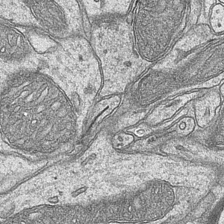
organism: Mouse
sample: CA1 Hippocampus